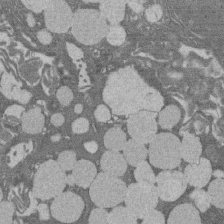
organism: Rat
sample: Salivary granule